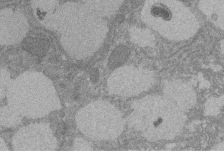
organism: Rat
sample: Salivary granule